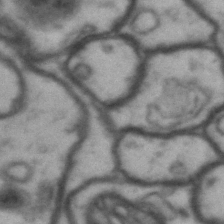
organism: Drosophila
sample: Brain